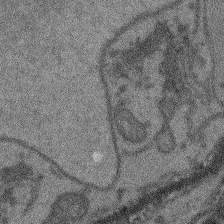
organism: Arabidopsis thaliana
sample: Root tip